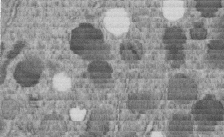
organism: C. elegans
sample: C. elegans embryo early stage